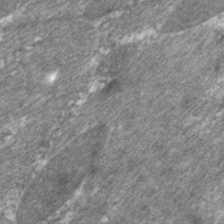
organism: C. elegans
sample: Pharynx